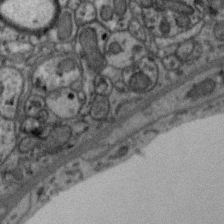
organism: Zebra finch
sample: Brain